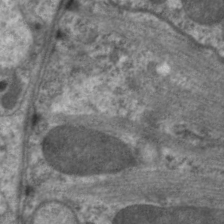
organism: C. elegans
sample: Pharynx